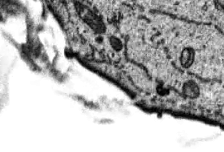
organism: Human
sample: HeLa cells